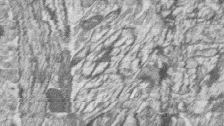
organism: Zebrafish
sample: synaptic ribbons in rod cells and cone cells